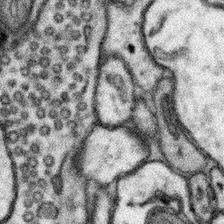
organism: Mouse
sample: Somatosensory cortex neuropil